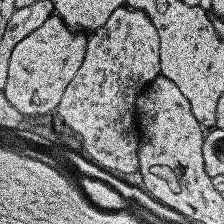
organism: Human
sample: Temporal Lobe